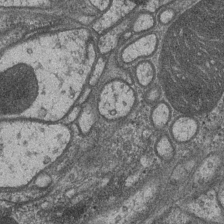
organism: Drosophila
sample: Optic medulla